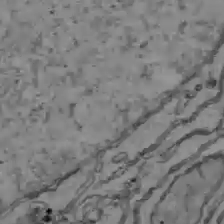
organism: C57BL Mouse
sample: Liver